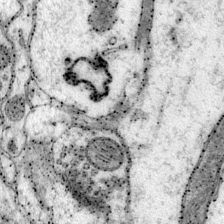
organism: Mouse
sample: Primary visual cortex